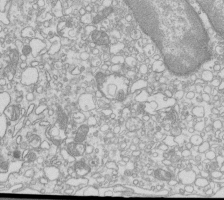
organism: Mouse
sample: Macrophages